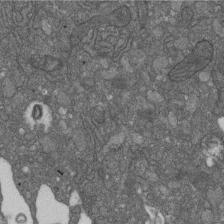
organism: Drosophila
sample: Nephrocyte